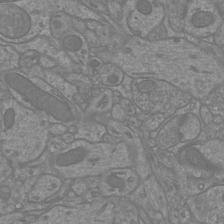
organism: Mouse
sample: Cortical neurons